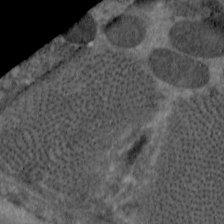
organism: C. elegans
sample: Pharynx